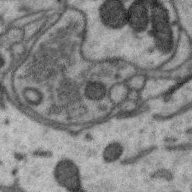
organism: Zebra finch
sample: Brain